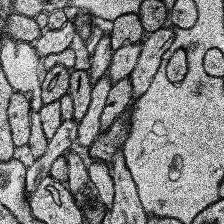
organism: Human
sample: Temporal Lobe